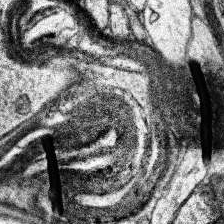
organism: Human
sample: Temporal Lobe